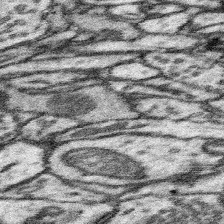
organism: Mouse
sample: Somatosensory cortex neuropil